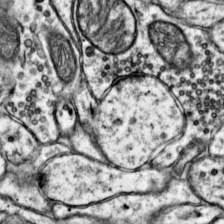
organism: Mouse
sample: Primary visual cortex